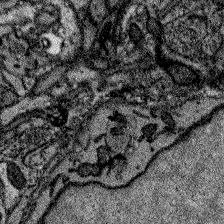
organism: Zebrafish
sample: Larval olfactory bulb